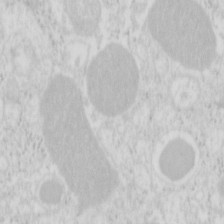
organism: Mouse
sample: Pancreas